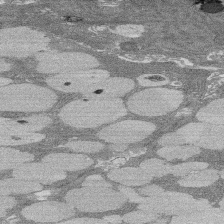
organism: Rat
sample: Salivary granule